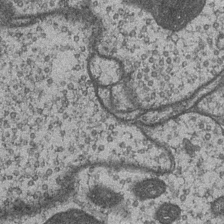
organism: Drosophila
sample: Optic medulla